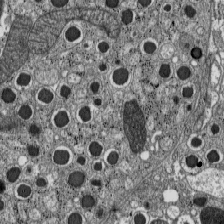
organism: C57BL Mouse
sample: Pancreatic islet